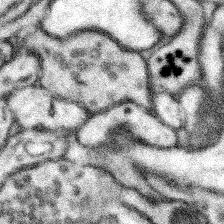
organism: Mouse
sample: Somatosensory cortex neuropil